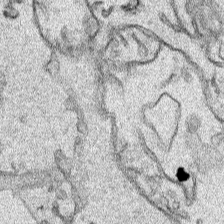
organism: Human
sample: Mitochondria in HCT116 cells